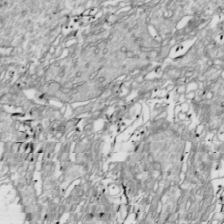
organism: Drosophila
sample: Cell division; meiosis; drosophila spermatocytes